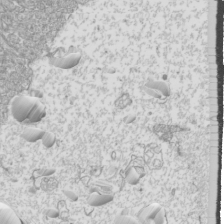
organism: Mouse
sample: Cilia; mouse epididymis